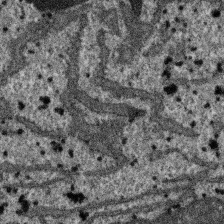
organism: Human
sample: Lung epithelial cells infected with SARS-CoV-2